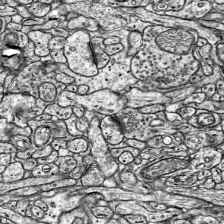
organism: Mouse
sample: Visual Cortex